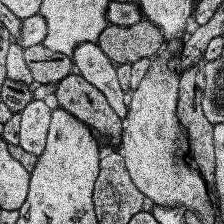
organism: Human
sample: Temporal Lobe